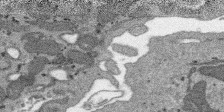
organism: Human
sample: Lung epithelial cells infected with SARS-CoV-2